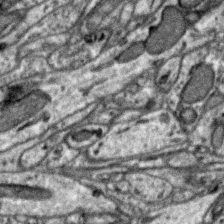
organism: Zebra finch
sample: Brain